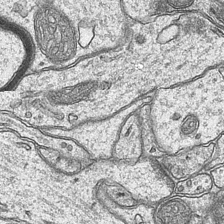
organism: Mouse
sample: CA1 Hippocampus